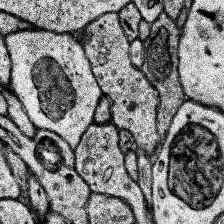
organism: Human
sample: Temporal Lobe